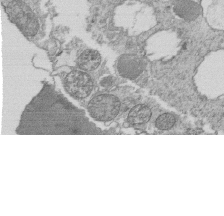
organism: Tetrahymena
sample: Cilia in tetrahymena